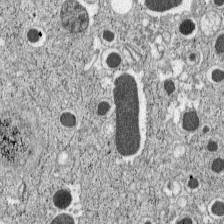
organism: C57BL Mouse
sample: Pancreatic islet